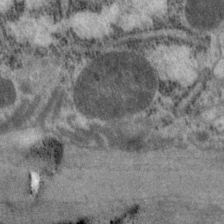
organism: P. pacificus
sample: Pharynx